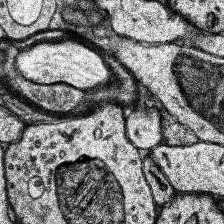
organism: Human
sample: Temporal Lobe